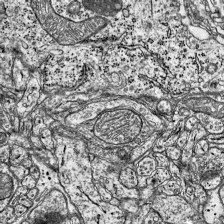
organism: Mouse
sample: Visual Cortex